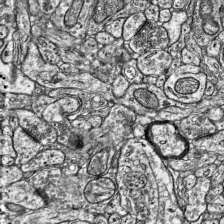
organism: Mouse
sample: Visual Cortex